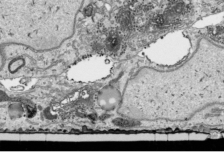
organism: Human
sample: Mitochondria in HCT116 cells